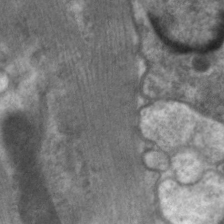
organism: C. elegans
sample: Pharynx